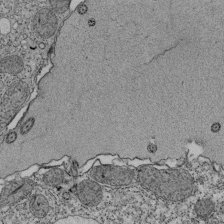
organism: Tetrahymena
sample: Cilia in tetrahymena